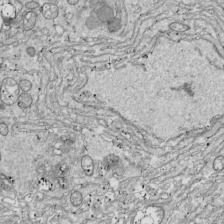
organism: Drosophila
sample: Cell division; meiosis; drosophila spermatocytes